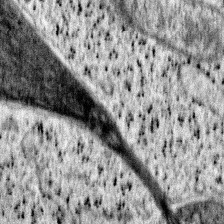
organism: Human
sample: HeLa cells